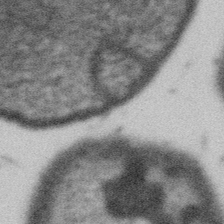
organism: Gemmata obscuriglobus